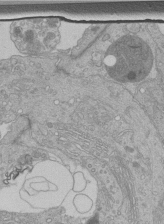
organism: Human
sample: Retinal organoid Rod and Cone cells